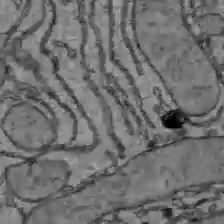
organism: C57BL Mouse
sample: Liver